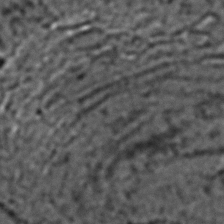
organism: C. elegans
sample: C. elegans embryo